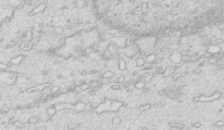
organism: Mouse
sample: Multiciliated cells